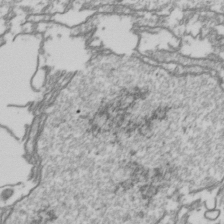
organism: Drosophila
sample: Cell division; meiosis; drosophila spermatocytes